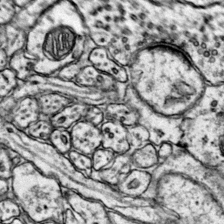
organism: Mouse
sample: Primary visual cortex